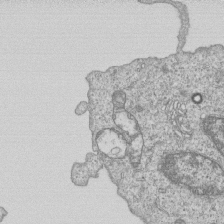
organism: Human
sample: MDA-MB-231 cells